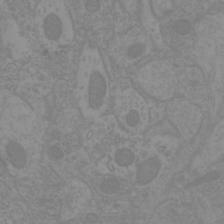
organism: Mouse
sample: Cortical neurons